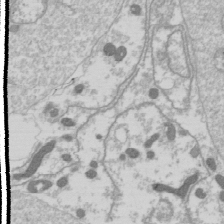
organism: Drosophila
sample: Cell division; meiosis; drosophila spermatocytes